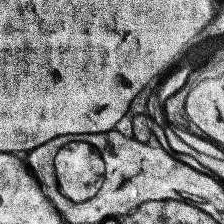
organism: Human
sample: Temporal Lobe